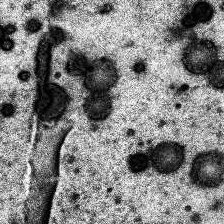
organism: Human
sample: Temporal Lobe